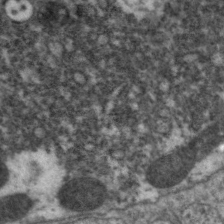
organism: C. elegans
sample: Pharynx